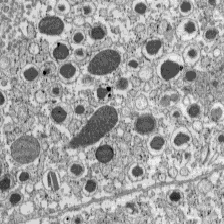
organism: C57BL Mouse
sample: Pancreatic islet